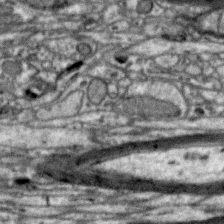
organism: Zebra finch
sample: Brain